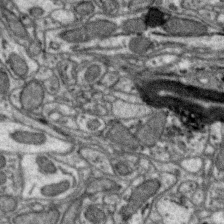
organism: Zebra finch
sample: Brain